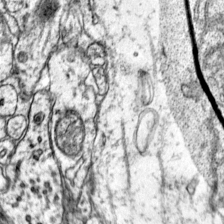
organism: Mouse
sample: Primary visual cortex